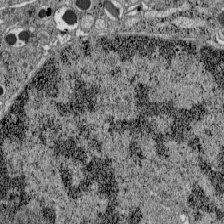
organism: C57BL Mouse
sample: Pancreatic islet